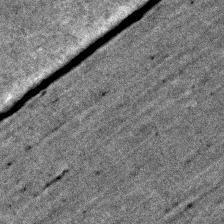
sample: Trachea